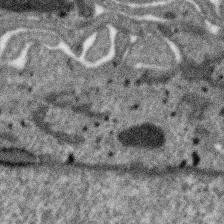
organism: Human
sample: Lung epithelial cells infected with SARS-CoV-2